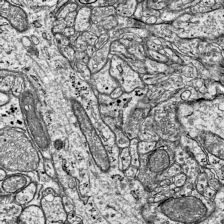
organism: Mouse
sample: Visual Cortex